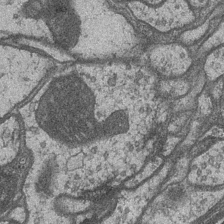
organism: Drosophila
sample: Optic medulla